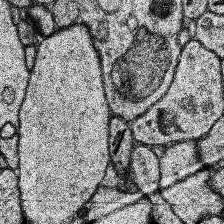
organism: Human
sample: Temporal Lobe